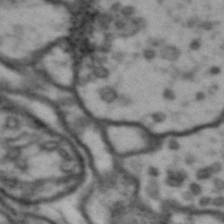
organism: Drosophila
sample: Brain